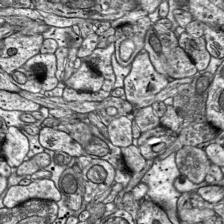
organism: Mouse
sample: Visual Cortex